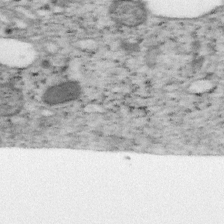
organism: Mouse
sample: OT-I killer T cells with ID8 ovarian cancer cells